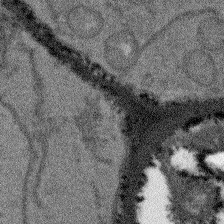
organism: Arabidopsis thaliana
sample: Root tip